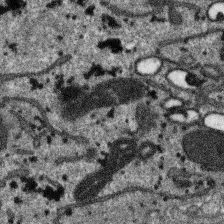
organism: Human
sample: Lung epithelial cells infected with SARS-CoV-2